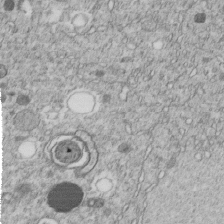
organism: C. elegans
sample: C. elegans embryo early stage